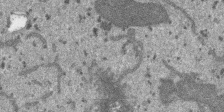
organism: Human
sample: Lung epithelial cells infected with SARS-CoV-2